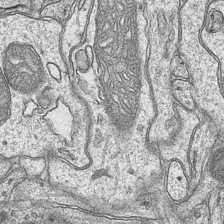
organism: Mouse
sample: CA1 Hippocampus